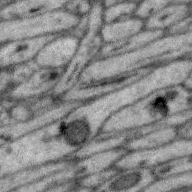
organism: Zebra finch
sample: Brain